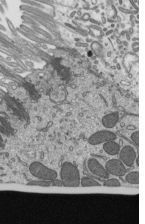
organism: Mouse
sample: Mouse epididymis efferent ductule cilia